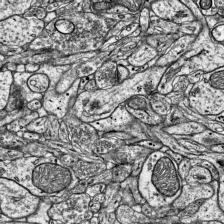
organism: Mouse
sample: Visual Cortex